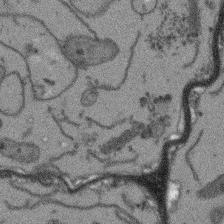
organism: Arabidopsis thaliana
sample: Root tip